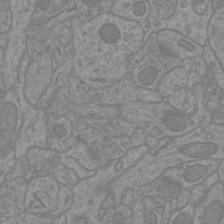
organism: Mouse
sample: Cortical neurons